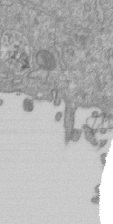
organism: Mouse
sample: ED-1 cell nuclei; centrioles